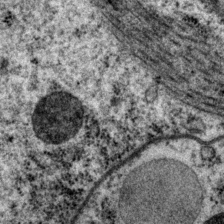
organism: P. pacificus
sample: Pharynx